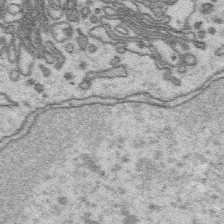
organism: Platynereis dumerilii